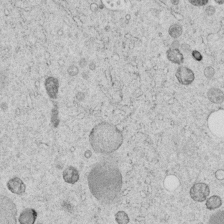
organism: C. elegans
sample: C. elegans embryo early stage